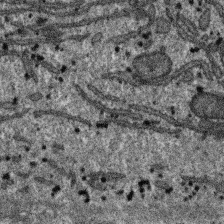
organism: Human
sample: Lung epithelial cells infected with SARS-CoV-2